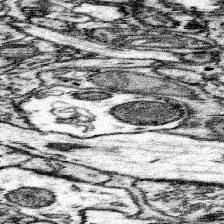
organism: Mouse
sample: Somatosensory cortex neuropil